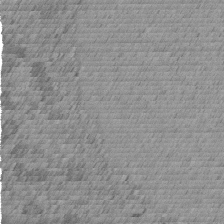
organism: C. elegans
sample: C. elegans embryo early stage